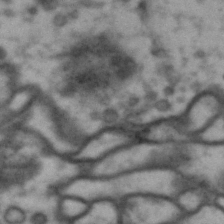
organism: Drosophila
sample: Brain